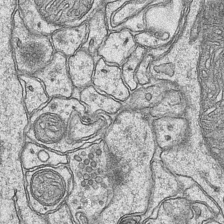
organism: Mouse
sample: CA1 Hippocampus